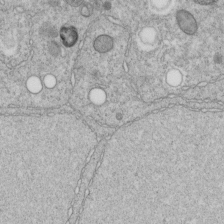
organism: C. elegans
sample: C. elegans embryo early stage